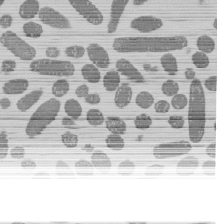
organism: E. coli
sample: Bacterial nucleoid